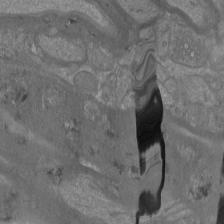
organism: Mouse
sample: Cortical neurons